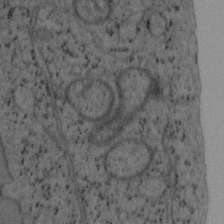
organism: Human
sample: HeLa cells